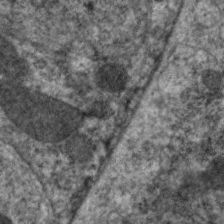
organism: C. elegans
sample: Pharynx